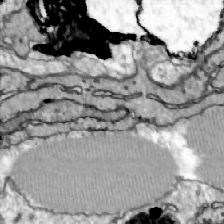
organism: Zebrafish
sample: Actinotrichia fibers